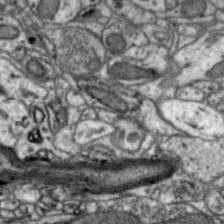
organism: Zebra finch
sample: Brain